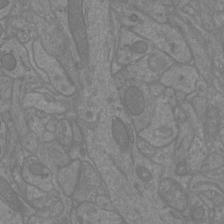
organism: Mouse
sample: Cortical neurons